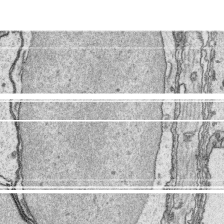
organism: Platynereis dumerilii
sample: Parapodia